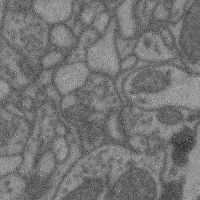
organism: Mouse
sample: Cerebral cortex